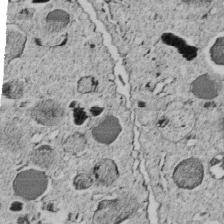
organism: C. elegans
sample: C. elegans embryo early stage